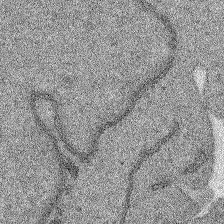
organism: Human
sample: HeLa cells